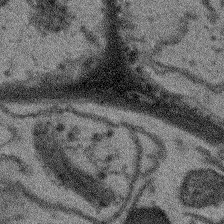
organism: Arabidopsis thaliana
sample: Root tip